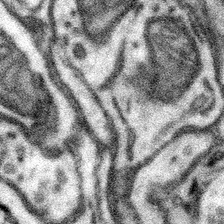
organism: Mouse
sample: Somatosensory cortex neuropil